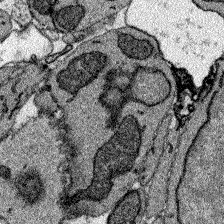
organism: Zebrafish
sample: Larval olfactory bulb